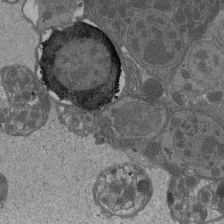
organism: Drosophila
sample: Antenna